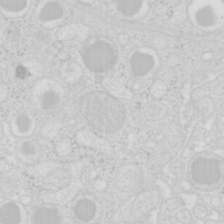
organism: Mouse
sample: Pancreas